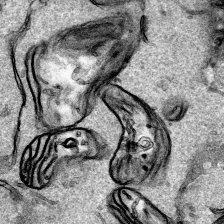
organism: Human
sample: Mitochondria in HCT116 cells